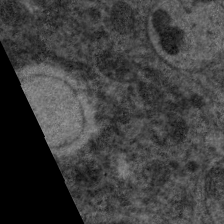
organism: C. elegans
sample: Pharynx